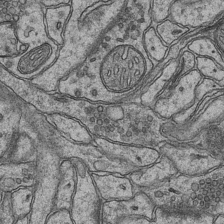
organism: Mouse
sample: CA1 Hippocampus